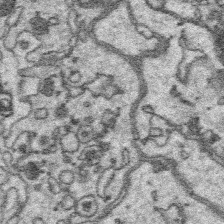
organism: Platynereis dumerilii